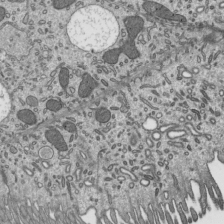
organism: Mouse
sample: Mouse epididymis efferent ductule cilia